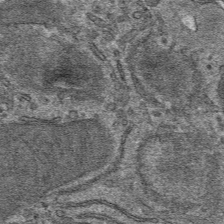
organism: Mouse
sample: Mouse hepatocytes